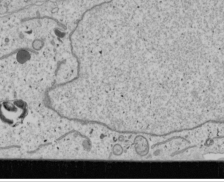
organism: Human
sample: Mitochondria in U2OS cells